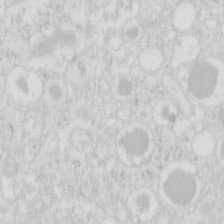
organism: Mouse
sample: Pancreas